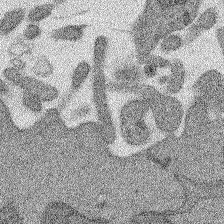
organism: Human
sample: HeLa cells